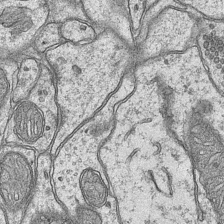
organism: Mouse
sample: CA1 Hippocampus